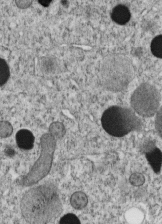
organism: C. elegans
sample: C. elegans embryo early stage